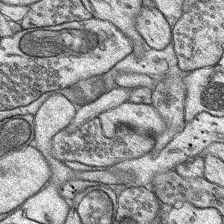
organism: Rat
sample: Hippocampus